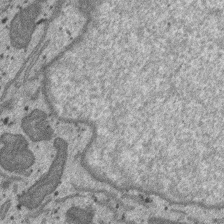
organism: Human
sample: Lung epithelial cells infected with SARS-CoV-2